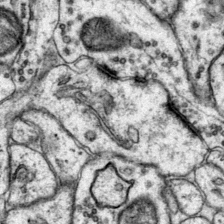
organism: Mouse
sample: Primary visual cortex